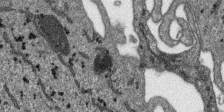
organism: Human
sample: Lung epithelial cells infected with SARS-CoV-2